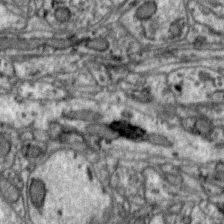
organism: Zebra finch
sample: Brain